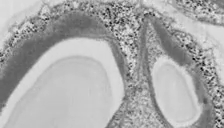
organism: Chlamydomonas reinhardtii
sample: Whole Cell